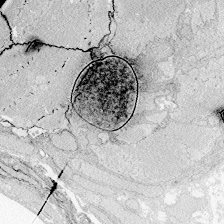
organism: Zebrafish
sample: Whole-Brain